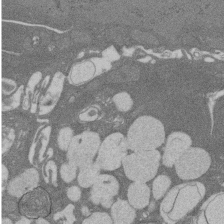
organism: Rat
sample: Salivary granule